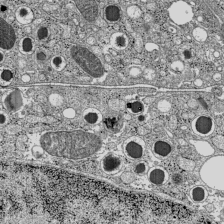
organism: C57BL Mouse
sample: Pancreatic islet